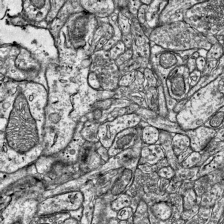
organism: Mouse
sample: Visual Cortex